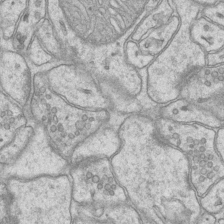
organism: Mouse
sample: CA1 Hippocampus